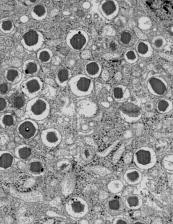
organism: C57BL Mouse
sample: Pancreatic islet